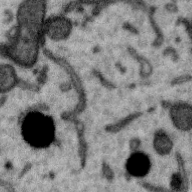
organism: Zebra finch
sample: Brain